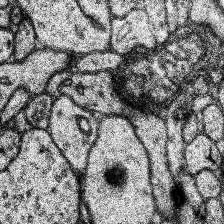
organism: Human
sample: Temporal Lobe